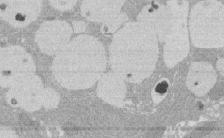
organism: Rat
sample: Salivary granule